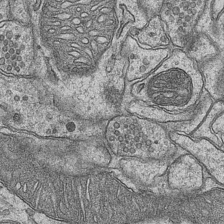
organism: Mouse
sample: CA1 Hippocampus